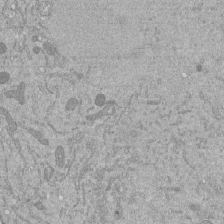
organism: Mouse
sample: ED-1 cell nuclei; centrioles